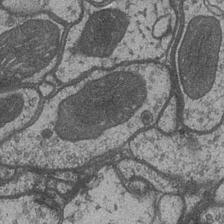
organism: Drosophila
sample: Optic medulla